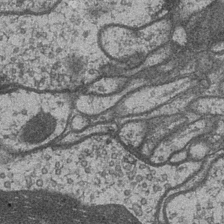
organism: Drosophila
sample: Optic medulla